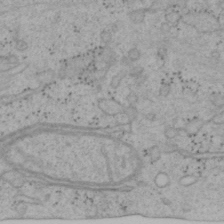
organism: Human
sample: HeLa cells